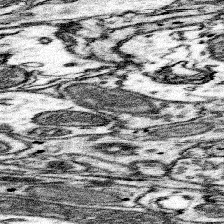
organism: Mouse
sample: Somatosensory cortex neuropil